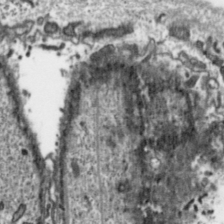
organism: Toxoplasma gondii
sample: Parasites in a vacuole inside a host cell